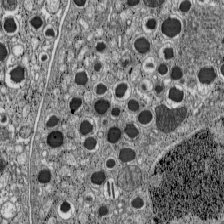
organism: C57BL Mouse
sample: Pancreatic islet